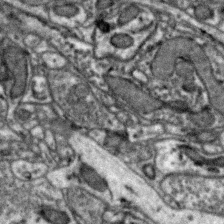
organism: Zebra finch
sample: Brain